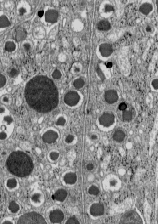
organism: C57BL Mouse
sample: Pancreatic islet